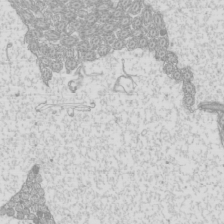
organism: Mouse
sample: Cilia; mouse epididymis